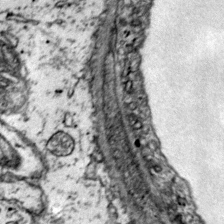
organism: Mouse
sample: Primary visual cortex